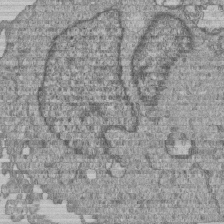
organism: Human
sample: MDA-MB-231 cells